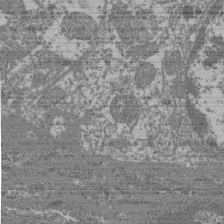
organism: Mouse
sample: Glomerulus